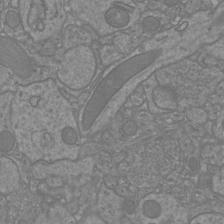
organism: Mouse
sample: Cortical neurons